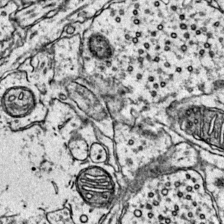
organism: Mouse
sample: Primary visual cortex